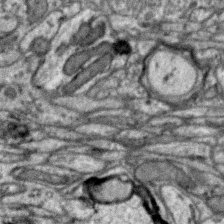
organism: Zebra finch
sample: Brain